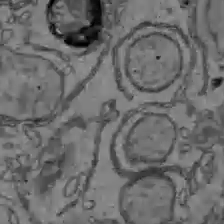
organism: C57BL Mouse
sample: Liver